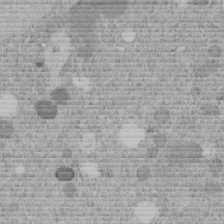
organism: C. elegans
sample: C. elegans embryo early stage